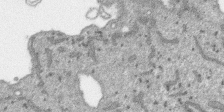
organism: Human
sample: Lung epithelial cells infected with SARS-CoV-2